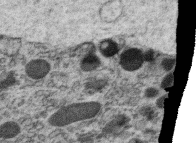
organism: C. elegans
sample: C. elegans oocyte; sperm cells